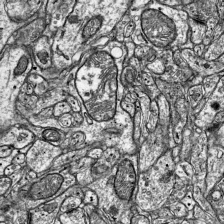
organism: Mouse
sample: Visual Cortex